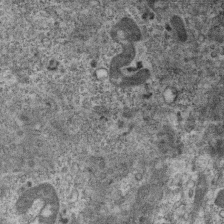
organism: Mouse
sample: Centriole in ependymal cells